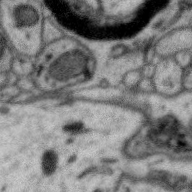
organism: Zebra finch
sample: Brain